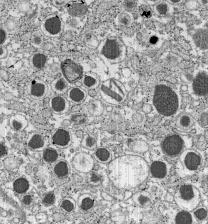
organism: C57BL Mouse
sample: Pancreatic islet